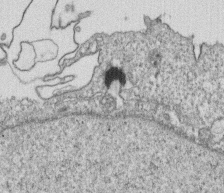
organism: Human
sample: HeLa cell HIV synapse